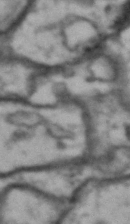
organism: Drosophila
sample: Brain